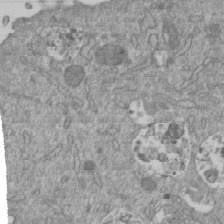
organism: Mouse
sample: ED-1 cell nuclei; centrioles